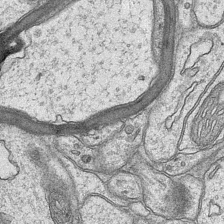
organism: Mouse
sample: CA1 Hippocampus